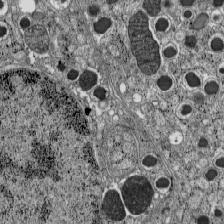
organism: C57BL Mouse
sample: Pancreatic islet